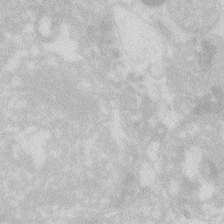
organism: Zebrafish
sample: Macrophage